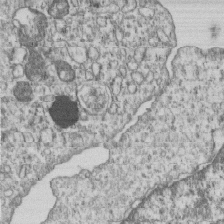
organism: Human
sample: MDA-MB-231 cells